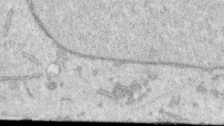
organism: Human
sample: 1205lu cells